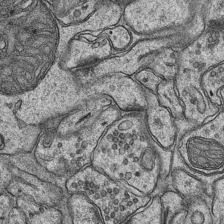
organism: Mouse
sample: CA1 Hippocampus